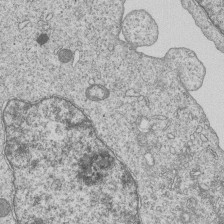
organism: Human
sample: MDA-MB-231 cells